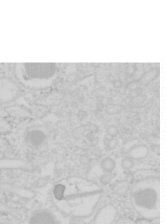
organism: Mouse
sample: Pancreas